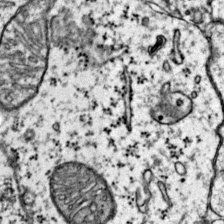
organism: Mouse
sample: Primary visual cortex